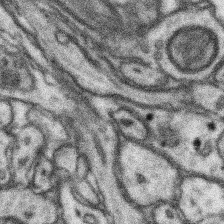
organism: Mouse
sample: Somatosensory cortex neuropil